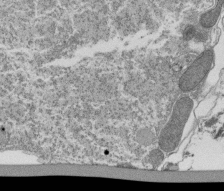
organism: Tetrahymena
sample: Cilia in tetrahymena